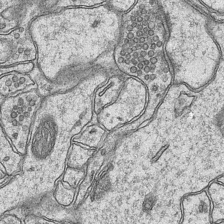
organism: Mouse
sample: CA1 Hippocampus